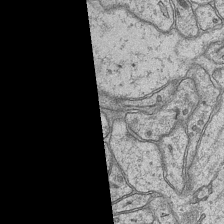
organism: Mouse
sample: CA1 Hippocampus